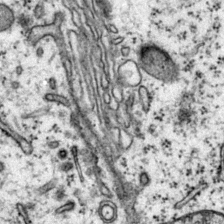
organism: Mouse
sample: Primary visual cortex